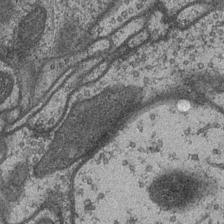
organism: Drosophila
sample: Optic medulla